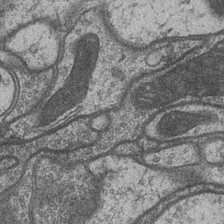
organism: Drosophila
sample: Optic medulla